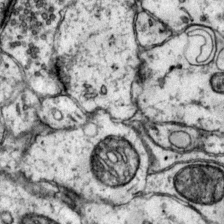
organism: Mouse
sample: Primary visual cortex